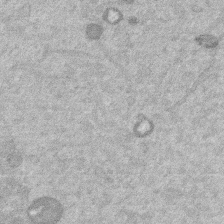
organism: Mouse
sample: Dividing mouse embryo 1 cell stage